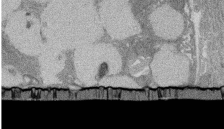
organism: Rat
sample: Salivary granule